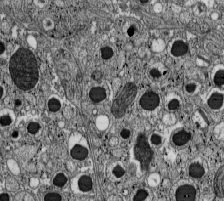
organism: C57BL Mouse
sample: Pancreatic islet